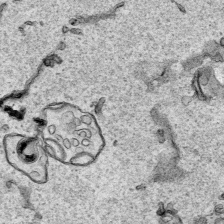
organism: Human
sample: Mitochondria in HCT116 cells